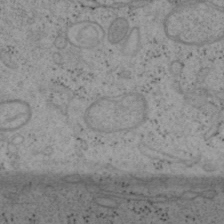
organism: Human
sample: HeLa cells